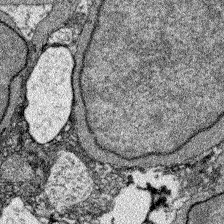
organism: Zebrafish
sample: Larval olfactory bulb